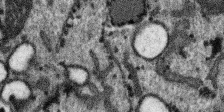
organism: Human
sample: Lung epithelial cells infected with SARS-CoV-2